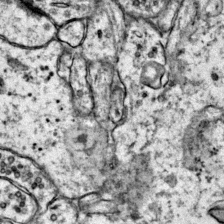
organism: Mouse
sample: Primary visual cortex